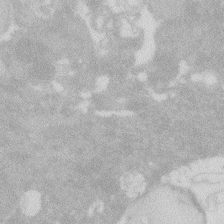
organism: Zebrafish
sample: Macrophage